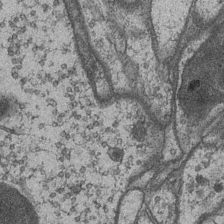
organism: Drosophila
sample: Optic medulla